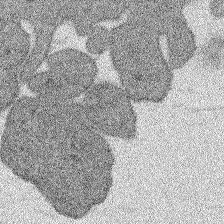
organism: Human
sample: HeLa cells